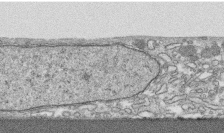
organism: Human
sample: CRL-1474